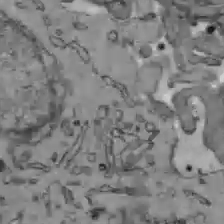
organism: C57BL Mouse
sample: Liver